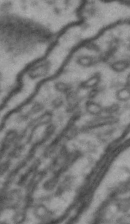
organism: Drosophila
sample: Brain